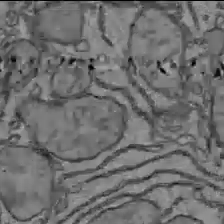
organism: C57BL Mouse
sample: Liver